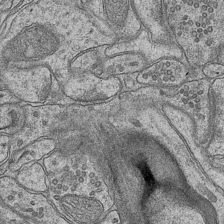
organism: Mouse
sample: CA1 Hippocampus